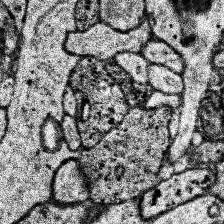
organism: Human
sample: Temporal Lobe